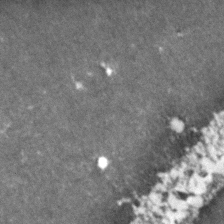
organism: Zebrafish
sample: Zebrafish embryo